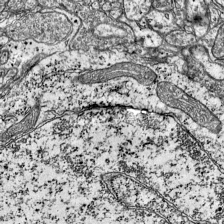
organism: Mouse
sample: Visual Cortex